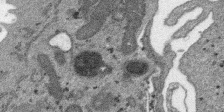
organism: Human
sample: Lung epithelial cells infected with SARS-CoV-2